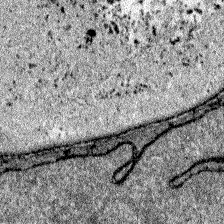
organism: Zebrafish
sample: Larval olfactory bulb